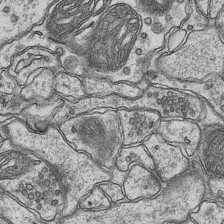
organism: Mouse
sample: CA1 Hippocampus